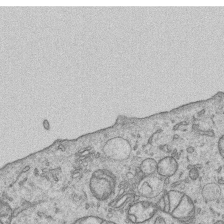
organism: Human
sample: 1205lu cells